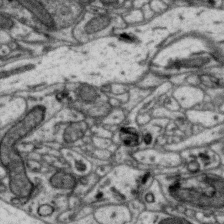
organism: Zebra finch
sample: Brain